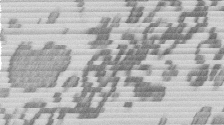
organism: Mouse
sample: Dividing mouse embryo 1 cell stage